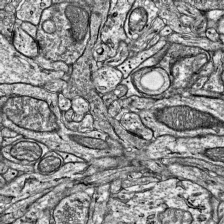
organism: Mouse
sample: Visual Cortex